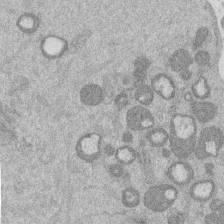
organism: Mouse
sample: Dividing mouse embryo 1 cell stage